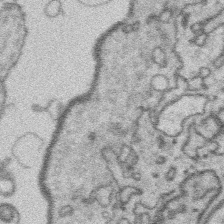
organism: Platynereis dumerilii